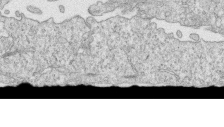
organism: Human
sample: HeLa cell HIV synapse